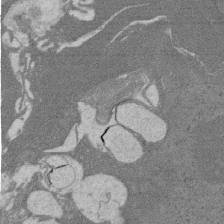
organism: Rat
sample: Salivary granule